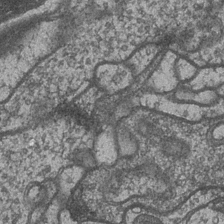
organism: Drosophila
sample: Optic medulla